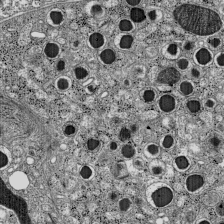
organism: C57BL Mouse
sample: Pancreatic islet